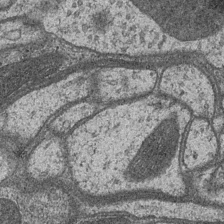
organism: Drosophila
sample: Optic medulla